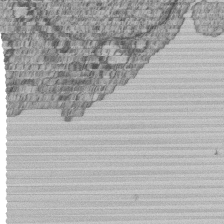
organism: Human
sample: MDA-MB-231 cells